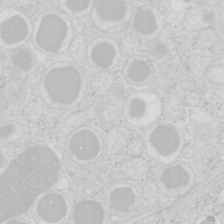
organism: Mouse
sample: Pancreas